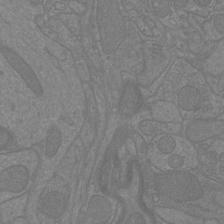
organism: Mouse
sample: Cortical neurons